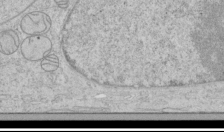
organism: Human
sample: Mitochondria in HCT116 cells